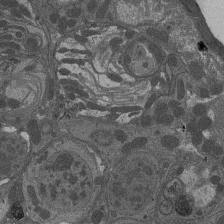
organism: Drosophila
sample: Antenna